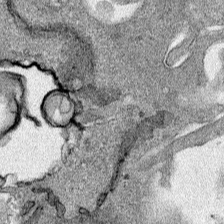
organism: Human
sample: Mitochondria in HCT116 cells